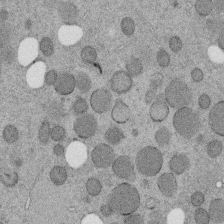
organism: C. elegans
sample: C. elegans embryo early stage